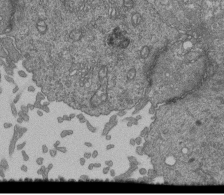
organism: Human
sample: Retinal organoid Rod and Cone cells